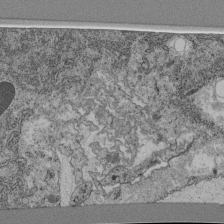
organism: C. elegans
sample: C. elegans pharynx